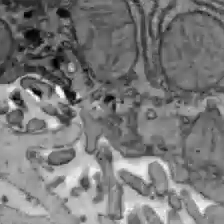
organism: C57BL Mouse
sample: Liver